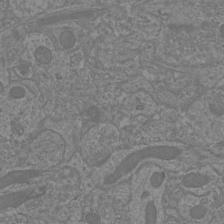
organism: Mouse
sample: Cortical neurons